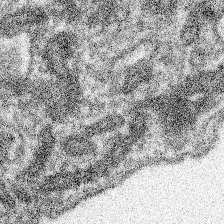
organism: Spongilla lacustris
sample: Neuroid cell